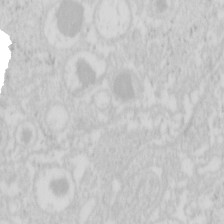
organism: Mouse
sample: Pancreas